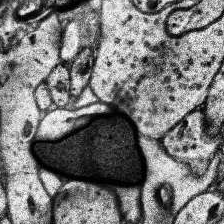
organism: Human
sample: Temporal Lobe